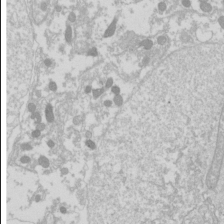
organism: Drosophila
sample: Cell division; meiosis; drosophila spermatocytes